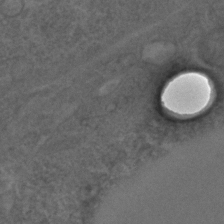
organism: C. elegans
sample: C. elegans embryo